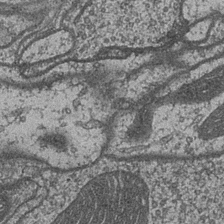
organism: Drosophila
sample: Optic medulla